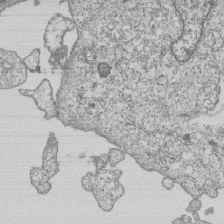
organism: Human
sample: MDA-MB-231 cells